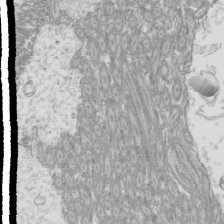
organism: Mouse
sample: Cilia; mouse epididymis